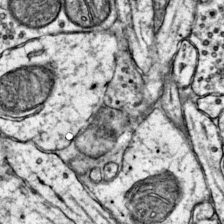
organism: Mouse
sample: Primary visual cortex